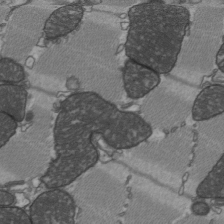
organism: C57BL Mouse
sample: Heart